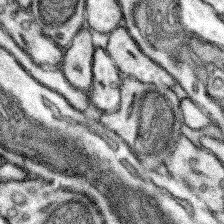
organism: Mouse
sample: Somatosensory cortex neuropil